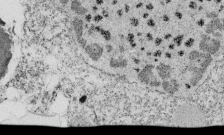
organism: Tetrahymena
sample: Cilia in tetrahymena